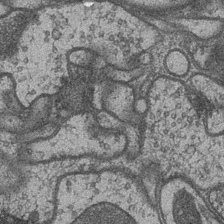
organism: Drosophila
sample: Optic medulla